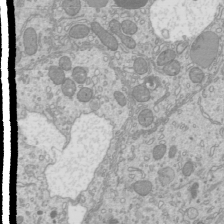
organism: Mouse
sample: Cilia; mouse epididymis